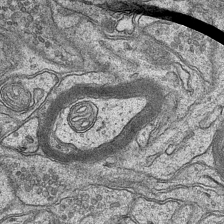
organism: Mouse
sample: CA1 Hippocampus